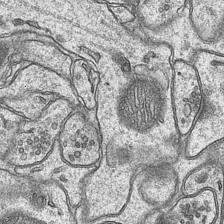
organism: Mouse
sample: CA1 Hippocampus